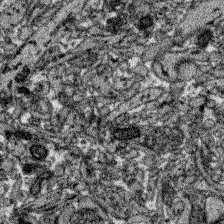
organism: Zebrafish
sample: Larval olfactory bulb